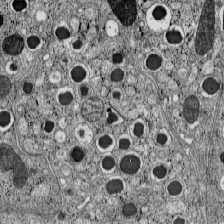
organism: C57BL Mouse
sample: Pancreatic islet